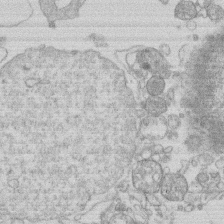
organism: Human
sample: Macrophage cells